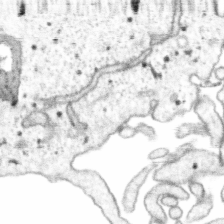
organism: Human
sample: HeLa cells